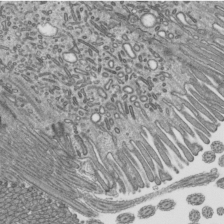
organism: Mouse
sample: Mouse epididymis efferent ductule cilia